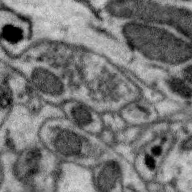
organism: Zebra finch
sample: Brain